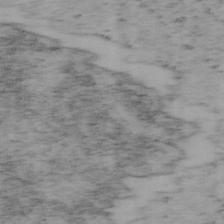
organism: Mouse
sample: OT-I killer T cells with ID8 ovarian cancer cells